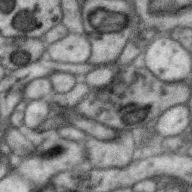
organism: Zebra finch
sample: Brain